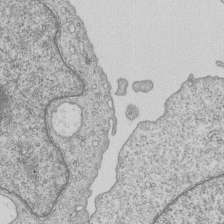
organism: Human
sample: MDA-MB-231 cells